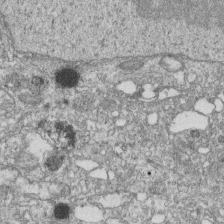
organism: Human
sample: HeLa cell HIV synapse